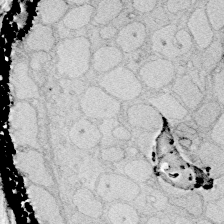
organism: Zebrafish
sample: Whole-Brain